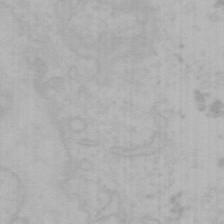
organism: Mouse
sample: Choroid plexus